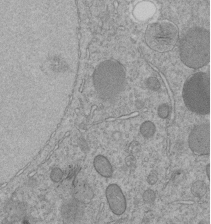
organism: C. elegans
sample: C. elegans embryo early stage